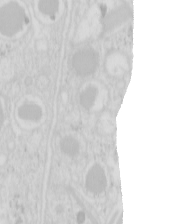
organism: Mouse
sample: Pancreas